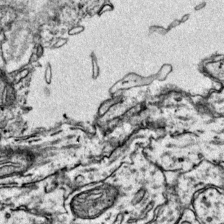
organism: Mouse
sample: Primary visual cortex